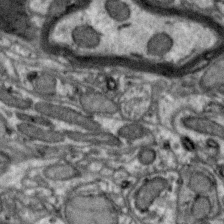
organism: Zebra finch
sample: Brain